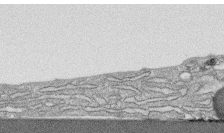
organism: Human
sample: CRL-1474